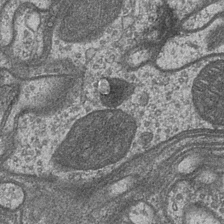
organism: Drosophila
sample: Optic medulla